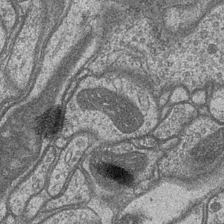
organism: Drosophila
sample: Optic medulla